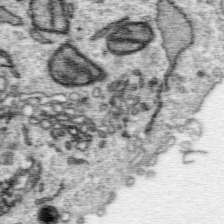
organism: Human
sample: HeLa cells